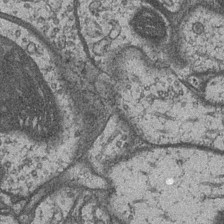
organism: Drosophila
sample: Optic medulla